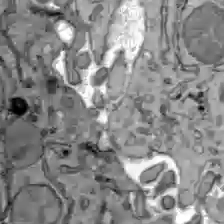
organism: C57BL Mouse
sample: Liver